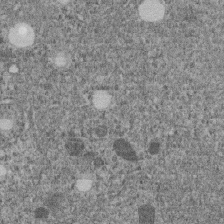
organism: C. elegans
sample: C. elegans embryo early stage